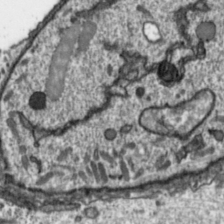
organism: Toxoplasma gondii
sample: Parasites in a vacuole inside a host cell